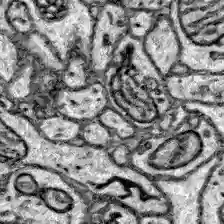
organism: Zebrafish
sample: Brain